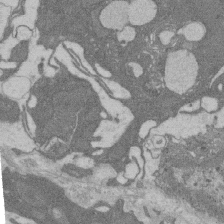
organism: Rat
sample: Salivary granule